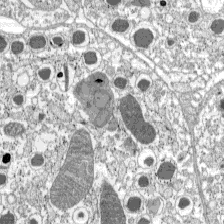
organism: C57BL Mouse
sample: Pancreatic islet